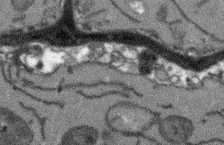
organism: Arabidopsis thaliana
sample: Root tip